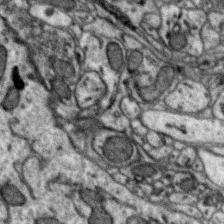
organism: Zebra finch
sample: Brain